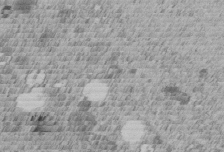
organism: C. elegans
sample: C. elegans embryo early stage